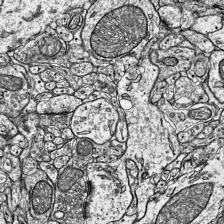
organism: Mouse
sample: Visual Cortex